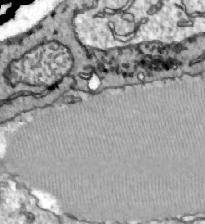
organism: Zebrafish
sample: Actinotrichia fibers